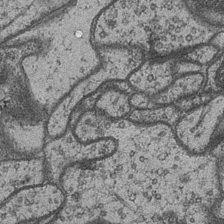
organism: Drosophila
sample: Optic medulla